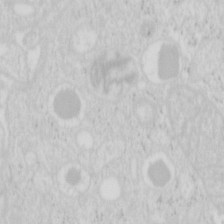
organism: Mouse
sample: Pancreas